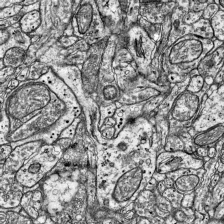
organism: Mouse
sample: Visual Cortex